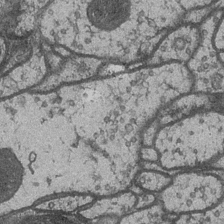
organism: Drosophila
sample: Optic medulla